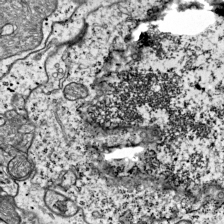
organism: Mouse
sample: Visual Cortex